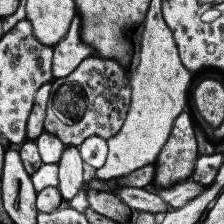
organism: Human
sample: Temporal Lobe